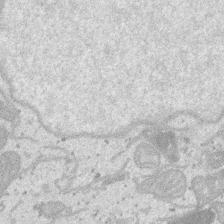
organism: Human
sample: Lung epithelial cells infected with SARS-CoV-2